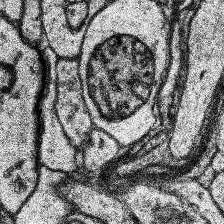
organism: Human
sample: Temporal Lobe